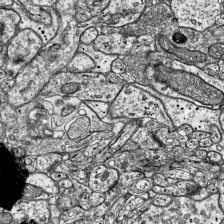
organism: Mouse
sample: Visual Cortex